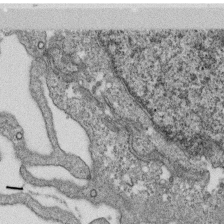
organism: African green monkey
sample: Vero E6 cells infected with SARS-CoV-2